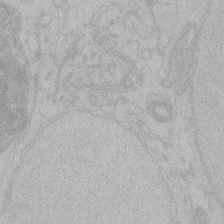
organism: Zebrafish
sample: Macrophage infected with Toxoplasma gondii